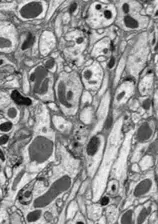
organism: Drosophila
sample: Optic lobe